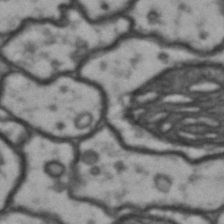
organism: Drosophila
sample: Brain